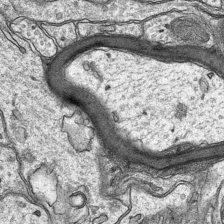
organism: Mouse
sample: CA1 Hippocampus